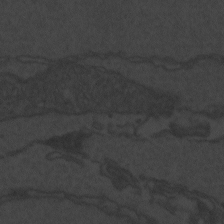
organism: Zebrafish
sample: Macrophage infected with Toxoplasma gondii